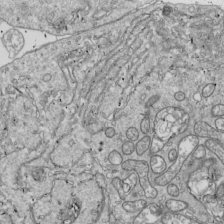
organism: Drosophila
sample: Cell division; meiosis; drosophila spermatocytes